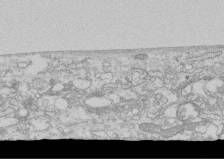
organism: Human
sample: CRL-1474